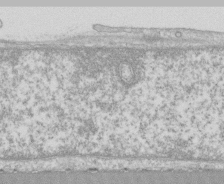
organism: Human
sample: CRL-1474